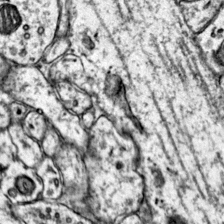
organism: Mouse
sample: Primary visual cortex